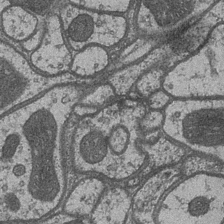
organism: Drosophila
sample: Optic medulla